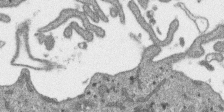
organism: Human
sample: Lung epithelial cells infected with SARS-CoV-2